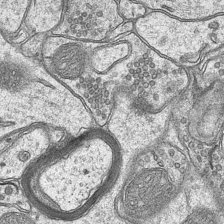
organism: Mouse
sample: CA1 Hippocampus